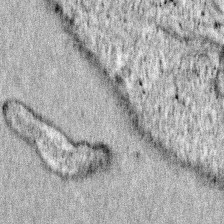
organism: Human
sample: HeLa cells